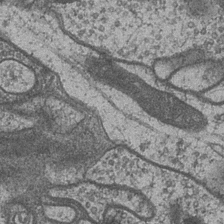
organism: Drosophila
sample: Optic medulla